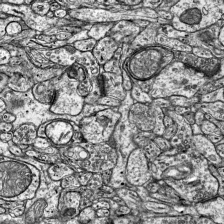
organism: Mouse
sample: Visual Cortex